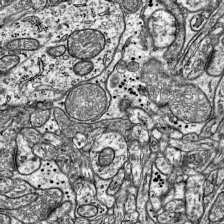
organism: Mouse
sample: Visual Cortex